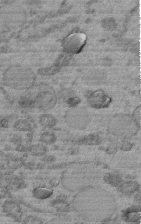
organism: C. elegans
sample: C. elegans embryo early stage